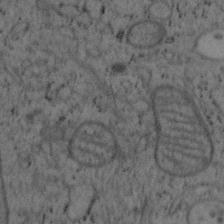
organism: Human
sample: HeLa cells